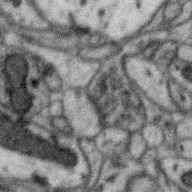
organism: Zebra finch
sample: Brain